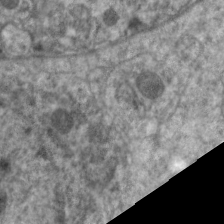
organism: C. elegans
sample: Pharynx